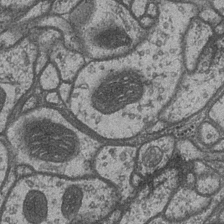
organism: Drosophila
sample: Optic medulla